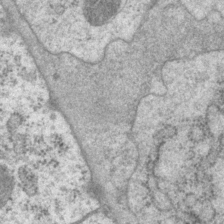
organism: P. pacificus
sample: Pharynx